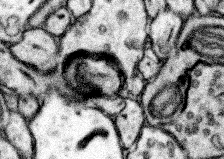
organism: Mouse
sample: Somatosensory cortex neuropil